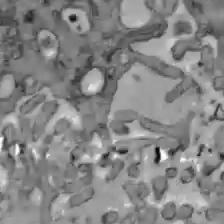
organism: C57BL Mouse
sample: Liver